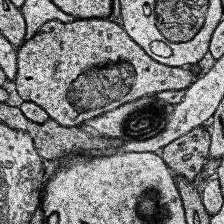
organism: Human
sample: Temporal Lobe